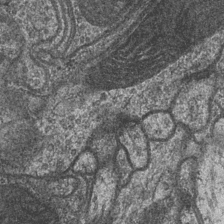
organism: Drosophila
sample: Optic medulla